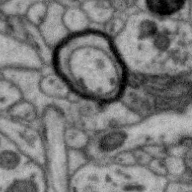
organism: Zebra finch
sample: Brain